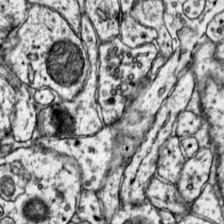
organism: Mouse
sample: Primary visual cortex